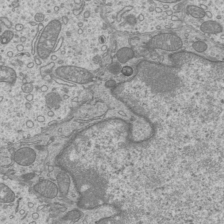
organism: Mouse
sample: Cilia; mouse epididymis